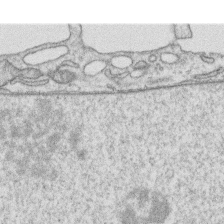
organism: Human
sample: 1205lu cells